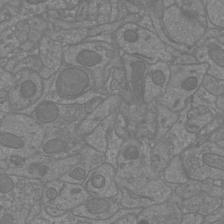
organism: Mouse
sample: Cortical neurons